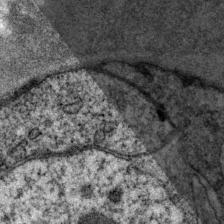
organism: P. pacificus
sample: Pharynx